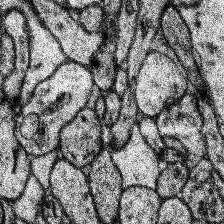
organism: Human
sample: Temporal Lobe